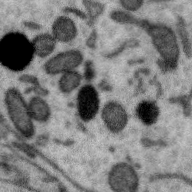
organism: Zebra finch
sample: Brain